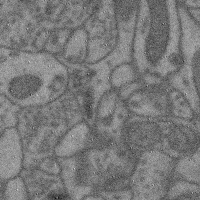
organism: Mouse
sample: Cerebral cortex